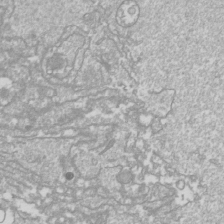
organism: Drosophila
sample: Cell division; meiosis; drosophila spermatocytes